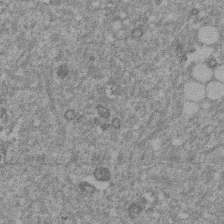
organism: Mouse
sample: Dividing mouse embryo 1 cell stage